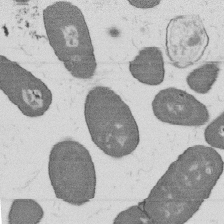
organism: B. subtilis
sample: Bacterial spore